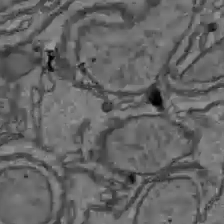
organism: C57BL Mouse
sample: Liver